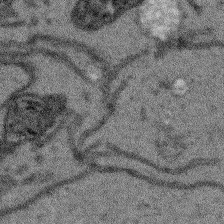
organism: Arabidopsis thaliana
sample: Root tip